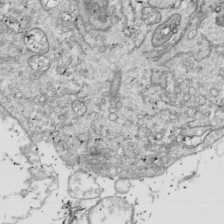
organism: Drosophila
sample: Cell division; meiosis; drosophila spermatocytes